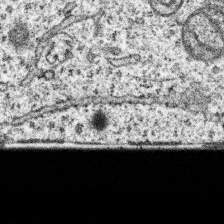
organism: Human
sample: HeLa cells